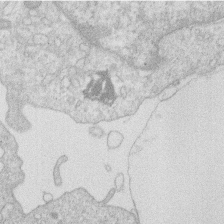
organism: Human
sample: Macrophage cells